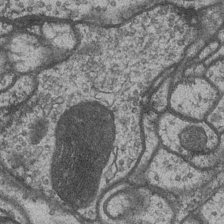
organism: Drosophila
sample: Optic medulla